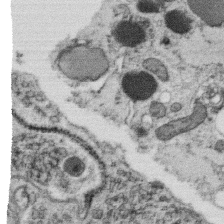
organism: C. elegans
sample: C. elegans oocyte; sperm cells